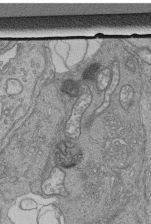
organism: Human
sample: Retinal organoid Rod and Cone cells